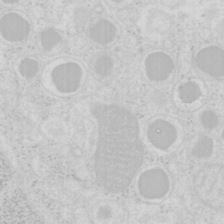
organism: Mouse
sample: Pancreas